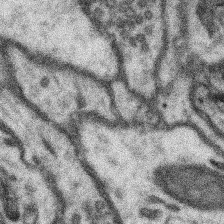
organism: Mouse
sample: Somatosensory cortex neuropil